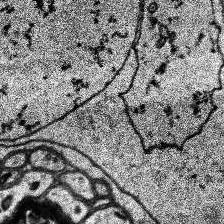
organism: Human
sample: Temporal Lobe